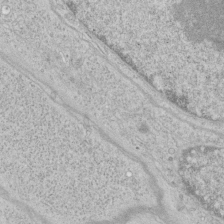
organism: Human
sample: Mitochondria in HCT116 cells